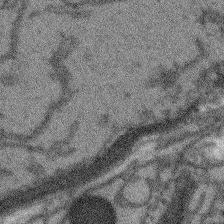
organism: Arabidopsis thaliana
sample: Root tip